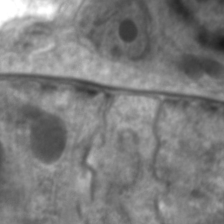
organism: C. elegans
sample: Pharynx